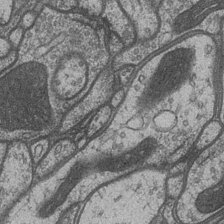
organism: Drosophila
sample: Optic medulla